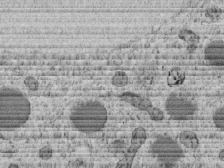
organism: C. elegans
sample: C. elegans embryo early stage